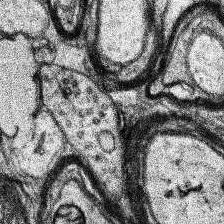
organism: Human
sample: Temporal Lobe